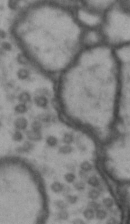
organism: Drosophila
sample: Brain